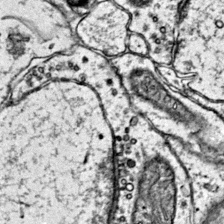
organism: Mouse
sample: Primary visual cortex